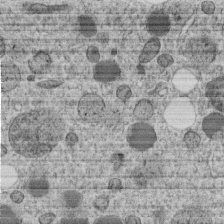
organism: C. elegans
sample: C. elegans embryo early stage